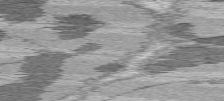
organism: C57BL Mouse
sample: Heart